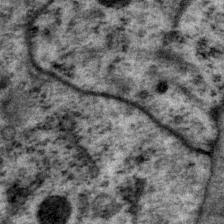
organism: P. pacificus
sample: Pharynx